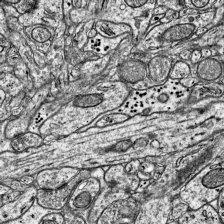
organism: Mouse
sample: Visual Cortex